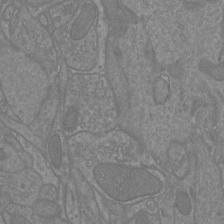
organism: Mouse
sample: Cortical neurons